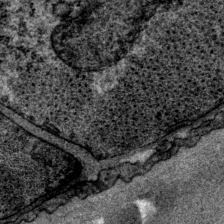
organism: P. pacificus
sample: Pharynx